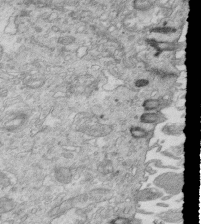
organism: Mouse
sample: Multiciliated cells